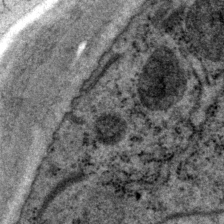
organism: P. pacificus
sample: Pharynx